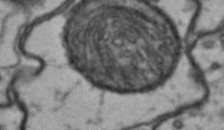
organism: Drosophila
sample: Brain